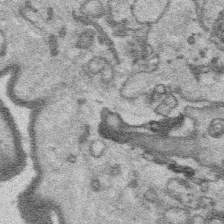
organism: Platynereis dumerilii